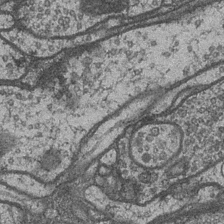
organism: Drosophila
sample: Optic medulla